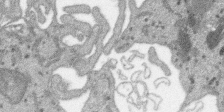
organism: Human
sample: Lung epithelial cells infected with SARS-CoV-2